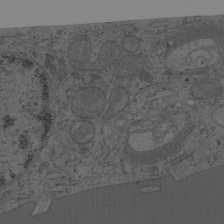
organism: Human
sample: HeLa cells